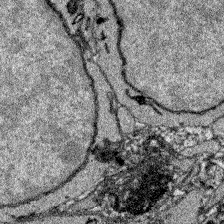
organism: Zebrafish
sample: Larval olfactory bulb